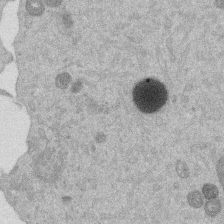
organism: Mouse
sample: Dividing mouse embryo 1 cell stage